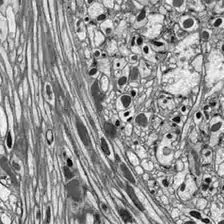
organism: Drosophila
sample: Optic lobe